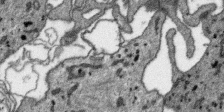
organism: Human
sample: Lung epithelial cells, uninfected (mock) control